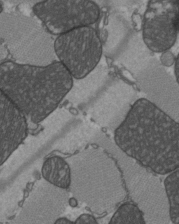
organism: C57BL Mouse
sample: Heart